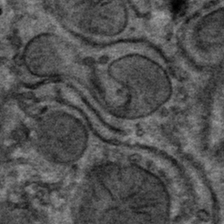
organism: Mouse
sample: Mouse hepatocytes